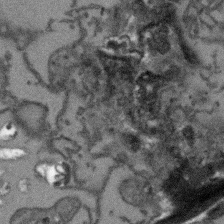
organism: Arabidopsis thaliana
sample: Root tip